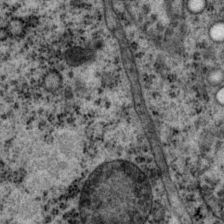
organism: P. pacificus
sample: Pharynx